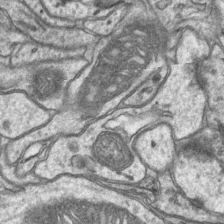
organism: Mouse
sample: CA1 Hippocampus